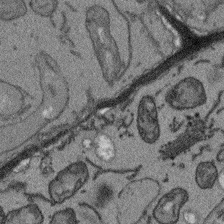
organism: Arabidopsis thaliana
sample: Root tip